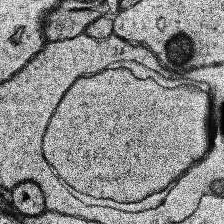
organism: Human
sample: Temporal Lobe